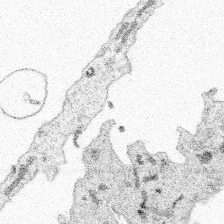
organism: Spongilla lacustris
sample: Multiple